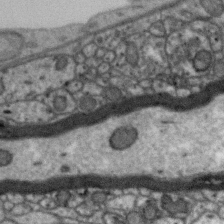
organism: Zebra finch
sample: Brain